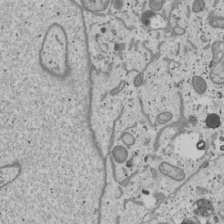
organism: Human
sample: Mitochondria in U2OS cells